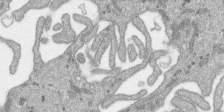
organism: Human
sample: Lung epithelial cells infected with SARS-CoV-2